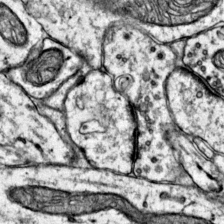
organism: Mouse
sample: Primary visual cortex